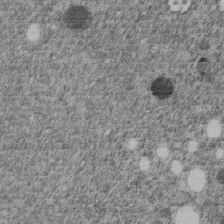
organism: C. elegans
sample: C. elegans embryo early stage